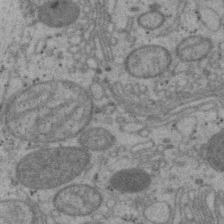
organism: Human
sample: HeLa cells